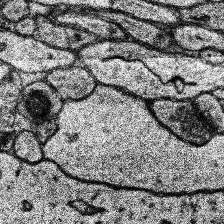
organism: Human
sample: Temporal Lobe